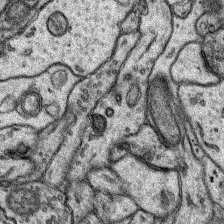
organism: Rat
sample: Hippocampus